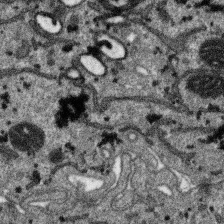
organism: Human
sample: Lung epithelial cells infected with SARS-CoV-2